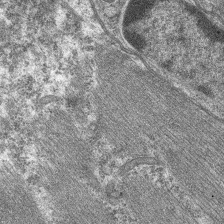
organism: C. elegans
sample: Pharynx